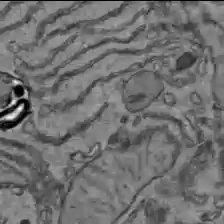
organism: C57BL Mouse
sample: Liver